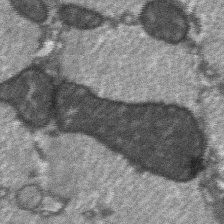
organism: C57BL Mouse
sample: Soleus